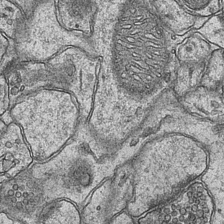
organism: Mouse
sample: CA1 Hippocampus